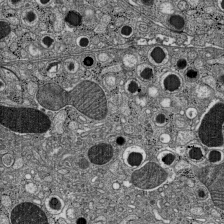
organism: C57BL Mouse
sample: Pancreatic islet